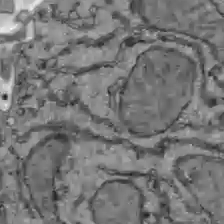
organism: C57BL Mouse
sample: Liver